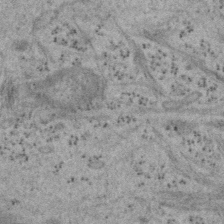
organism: Human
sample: HeLa cells